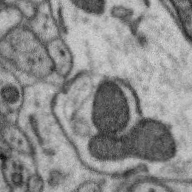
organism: Zebra finch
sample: Brain